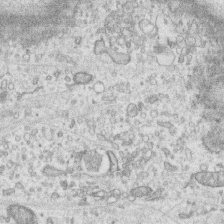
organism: Human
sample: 1205lu cells